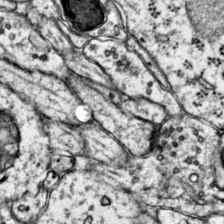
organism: Mouse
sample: Primary visual cortex